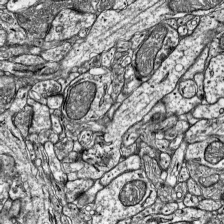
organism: Mouse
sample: Visual Cortex